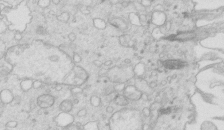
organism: Mouse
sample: Multiciliated cells